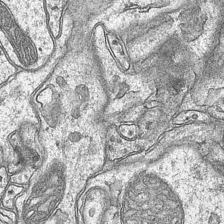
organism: Mouse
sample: CA1 Hippocampus